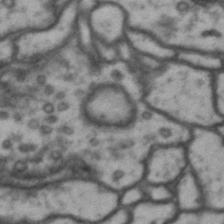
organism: Drosophila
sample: Brain